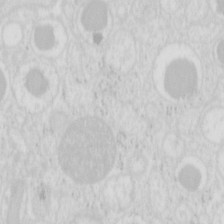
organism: Mouse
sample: Pancreas